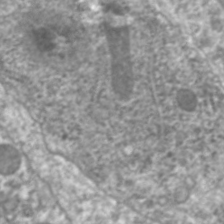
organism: C. elegans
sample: Pharynx